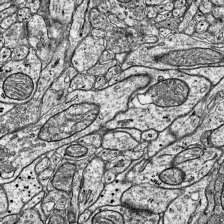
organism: Mouse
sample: Visual Cortex